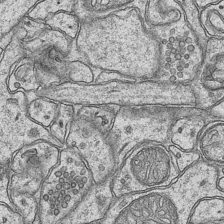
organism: Mouse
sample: CA1 Hippocampus